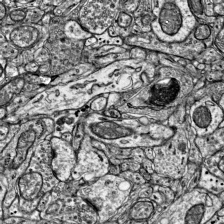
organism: Mouse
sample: Visual Cortex